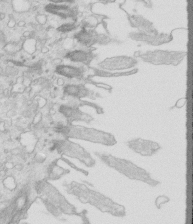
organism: Mouse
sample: Multiciliated cells